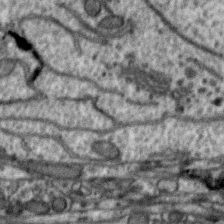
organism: Zebra finch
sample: Brain